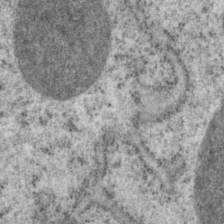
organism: P. pacificus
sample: Pharynx